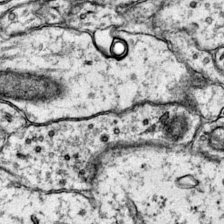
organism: Mouse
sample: Primary visual cortex